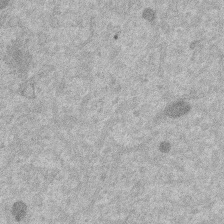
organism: Mouse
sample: Dividing mouse embryo 1 cell stage